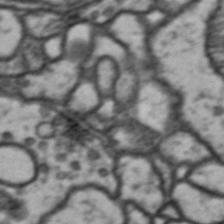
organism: Drosophila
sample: Brain